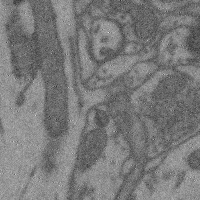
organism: Mouse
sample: Cerebral cortex